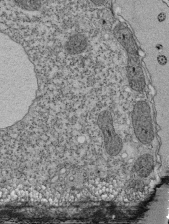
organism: Tetrahymena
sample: Cilia in tetrahymena